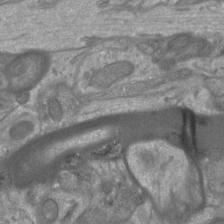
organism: Mouse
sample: Cortical neurons